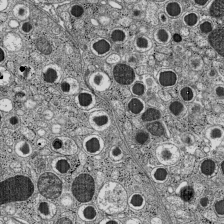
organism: C57BL Mouse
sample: Pancreatic islet